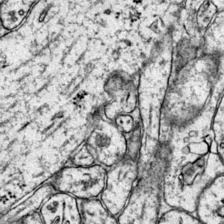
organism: Mouse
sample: Primary visual cortex